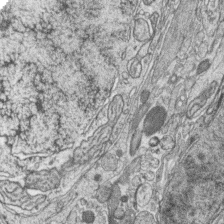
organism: Zebrafish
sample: synaptic ribbons in rod cells and cone cells